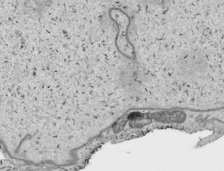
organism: Human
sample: Mitochondria in HCT116 cells